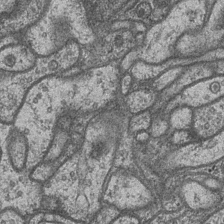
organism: Drosophila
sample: Optic medulla